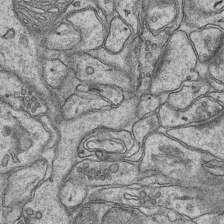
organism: Mouse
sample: CA1 Hippocampus